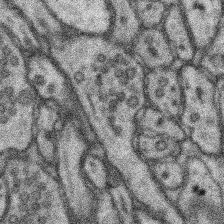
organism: Mouse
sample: Somatosensory cortex neuropil